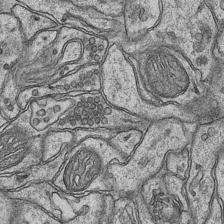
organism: Mouse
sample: CA1 Hippocampus